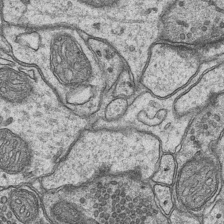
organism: Mouse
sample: CA1 Hippocampus